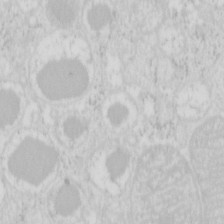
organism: Mouse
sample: Pancreas